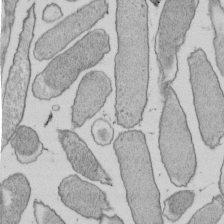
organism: E. coli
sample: Bacterial nucleoid